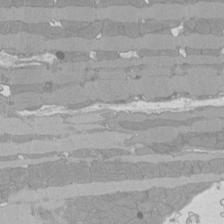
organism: Rat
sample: Left ventricle